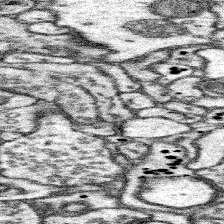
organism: Mouse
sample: Somatosensory cortex neuropil